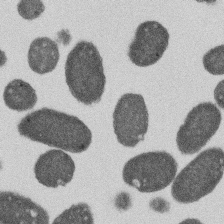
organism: E. coli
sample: Bacterial nucleoid